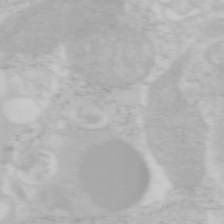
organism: Mouse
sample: OT-I killer T cells with ID8 ovarian cancer cells